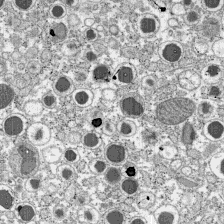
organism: C57BL Mouse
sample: Pancreatic islet